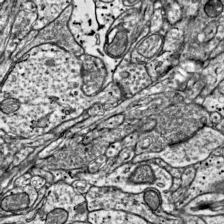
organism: Mouse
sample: Visual Cortex